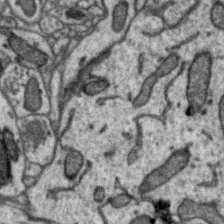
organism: Zebra finch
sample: Brain